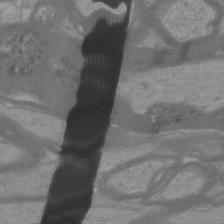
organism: Mouse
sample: Cortical neurons